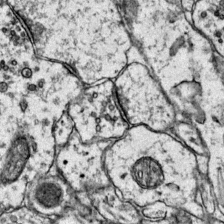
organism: Mouse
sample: Primary visual cortex